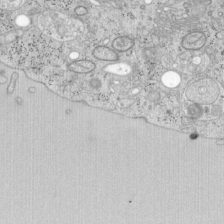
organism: Mouse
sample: OT-I killer T cells with ID8 ovarian cancer cells